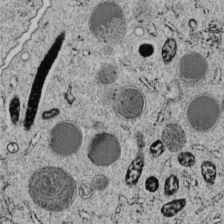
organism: C. elegans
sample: C. elegans embryo early stage